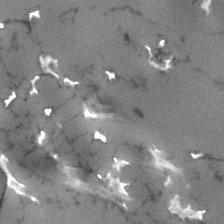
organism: Human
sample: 1205lu cells